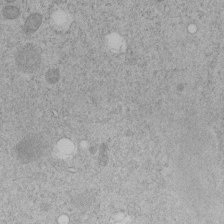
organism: C. elegans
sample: C. elegans embryo early stage